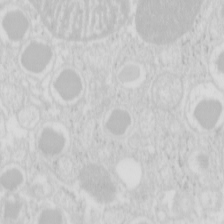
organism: Mouse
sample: Pancreas